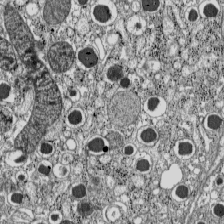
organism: C57BL Mouse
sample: Pancreatic islet